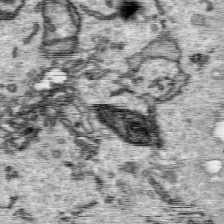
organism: Human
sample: HeLa cells